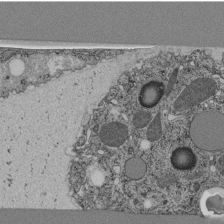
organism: C. elegans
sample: C. elegans pharynx